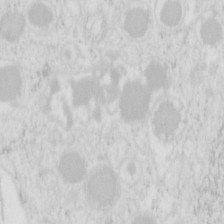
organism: Mouse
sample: Pancreas